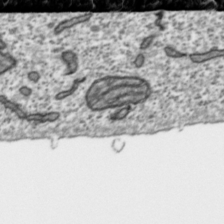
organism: Toxoplasma gondii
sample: Parasites in a vacuole inside a host cell